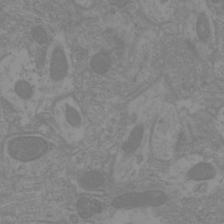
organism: Mouse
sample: Cortical neurons